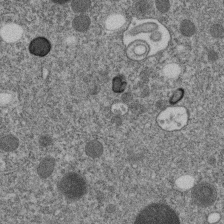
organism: C. elegans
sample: C. elegans embryo early stage